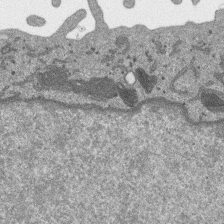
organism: Human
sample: Lung epithelial cells infected with SARS-CoV-2